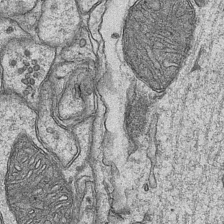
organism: Mouse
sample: CA1 Hippocampus